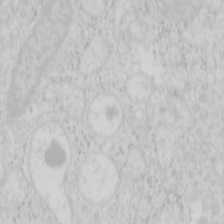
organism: Mouse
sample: Pancreas